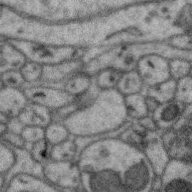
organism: Zebra finch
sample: Brain